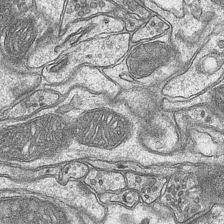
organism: Mouse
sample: CA1 Hippocampus